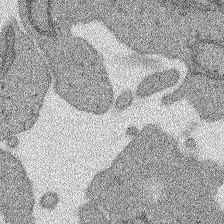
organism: Human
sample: HeLa cells